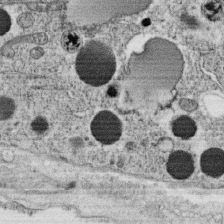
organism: C. elegans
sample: C. elegans oocyte; sperm cells